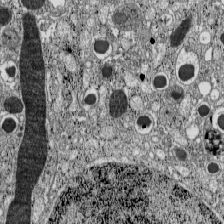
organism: C57BL Mouse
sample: Pancreatic islet